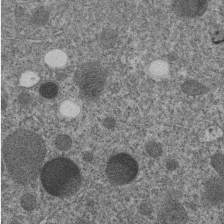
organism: C. elegans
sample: C. elegans embryo early stage